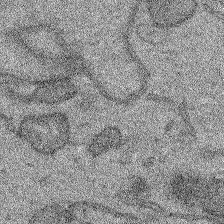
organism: Human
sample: HeLa cells